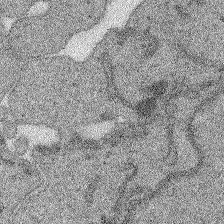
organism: Human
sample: HeLa cells